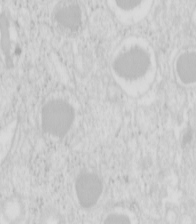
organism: Mouse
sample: Pancreas